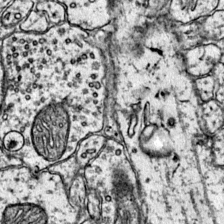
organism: Mouse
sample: Primary visual cortex